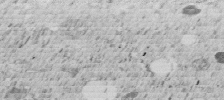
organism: C. elegans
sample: C. elegans embryo early stage